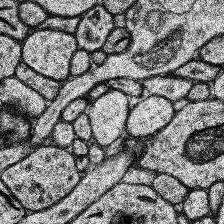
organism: Human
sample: Temporal Lobe